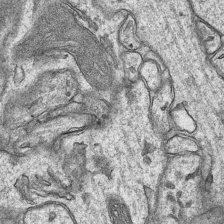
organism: Mouse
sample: CA1 Hippocampus